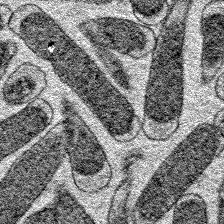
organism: E. coli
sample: E. Coli Bacteria